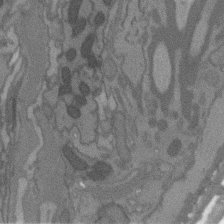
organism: C. elegans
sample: AFD neurons C. elegans